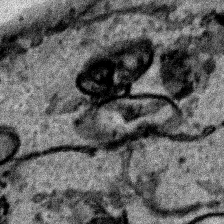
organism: Human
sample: Mitochondria in HCT116 cells